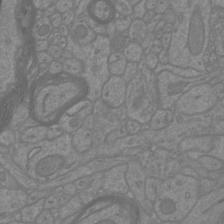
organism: Mouse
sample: Cortical neurons